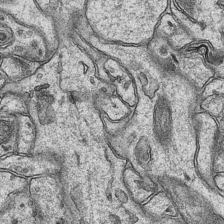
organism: Mouse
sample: CA1 Hippocampus